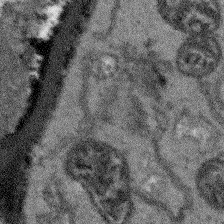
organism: Arabidopsis thaliana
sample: Root tip